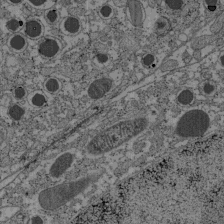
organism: C57BL Mouse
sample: Pancreatic islet